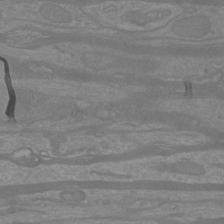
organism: Mouse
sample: Cortical neurons